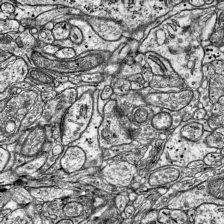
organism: Mouse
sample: Visual Cortex